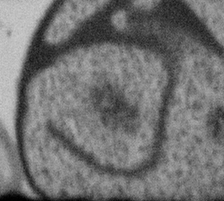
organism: Gemmata obscuriglobus